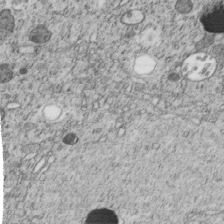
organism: C. elegans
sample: C. elegans embryo early stage